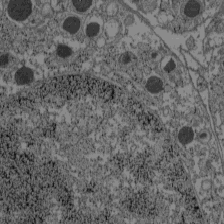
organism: C57BL Mouse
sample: Pancreatic islet